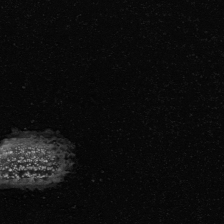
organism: Human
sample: Mitochondria in U2OS cells